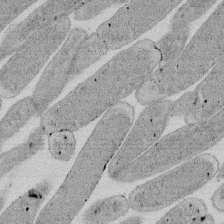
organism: E. coli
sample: Bacterial nucleoid